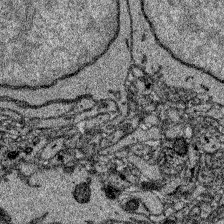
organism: Zebrafish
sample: Larval olfactory bulb